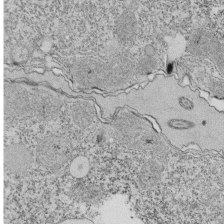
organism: Tetrahymena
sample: Cilia in tetrahymena